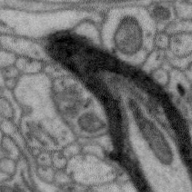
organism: Zebra finch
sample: Brain